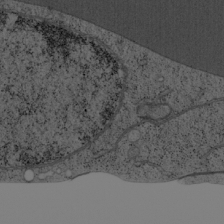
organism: African green monkey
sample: COS-7 cells